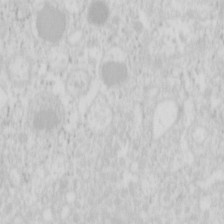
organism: Mouse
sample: Pancreas